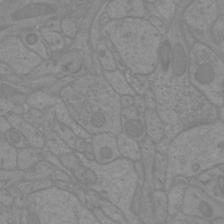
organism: Mouse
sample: Cortical neurons